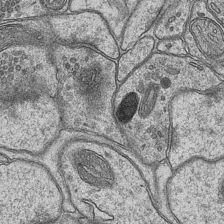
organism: Mouse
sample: CA1 Hippocampus